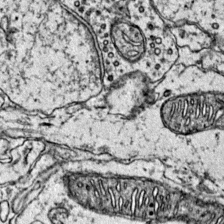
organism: Mouse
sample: Primary visual cortex